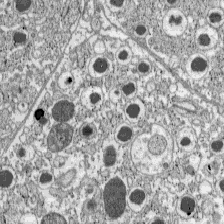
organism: C57BL Mouse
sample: Pancreatic islet